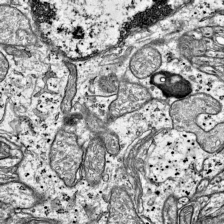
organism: Mouse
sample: Visual Cortex